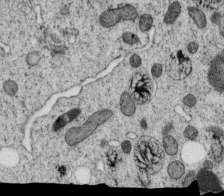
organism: C. elegans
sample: C. elegans oocyte; sperm cells